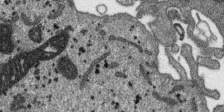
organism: Human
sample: Lung epithelial cells infected with SARS-CoV-2